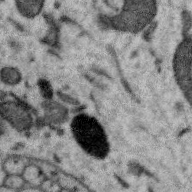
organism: Zebra finch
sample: Brain